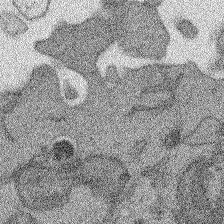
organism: Human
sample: HeLa cells